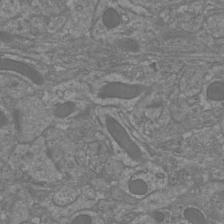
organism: Mouse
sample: Cortical neurons